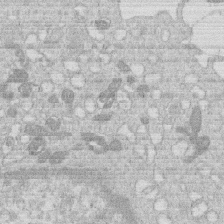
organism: Human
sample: Macrophage cells